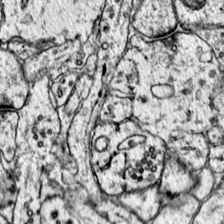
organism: Mouse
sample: Primary visual cortex